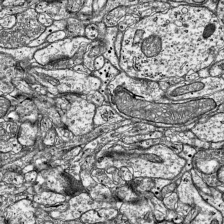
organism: Mouse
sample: Visual Cortex